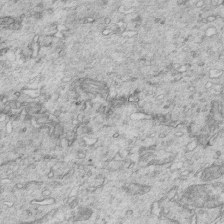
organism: Mouse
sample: Multiciliated cells